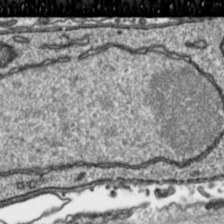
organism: Toxoplasma gondii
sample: Parasites in a vacuole inside a host cell